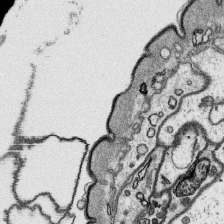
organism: Platynereis dumerilii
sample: Parapodia